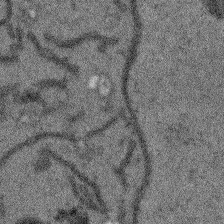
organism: Arabidopsis thaliana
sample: Root tip